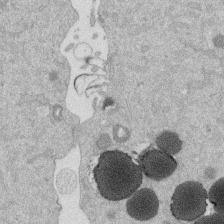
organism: Mouse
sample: Dividing mouse embryo 1 cell stage